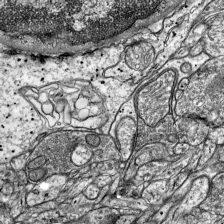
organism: Mouse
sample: Visual Cortex